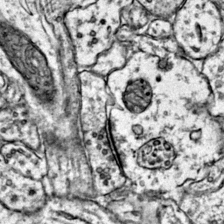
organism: Mouse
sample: Primary visual cortex